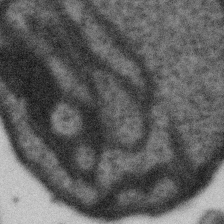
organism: Gemmata obscuriglobus